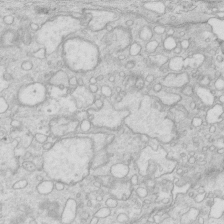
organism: Mouse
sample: Multiciliated cells